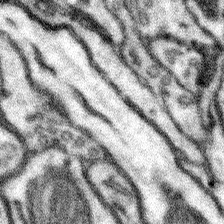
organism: Mouse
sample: Somatosensory cortex neuropil